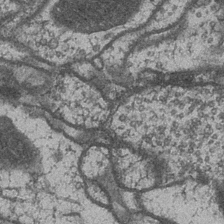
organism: Drosophila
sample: Optic medulla